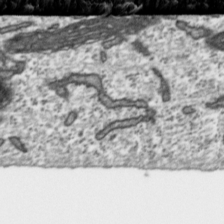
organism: Toxoplasma gondii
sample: Parasites in a vacuole inside a host cell